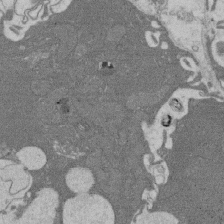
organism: Rat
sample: Salivary granule